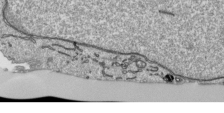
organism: Human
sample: Mitochondria in HCT116 cells